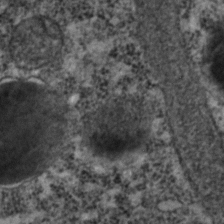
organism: C. elegans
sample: C. elegans embryo